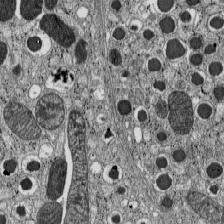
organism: C57BL Mouse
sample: Pancreatic islet